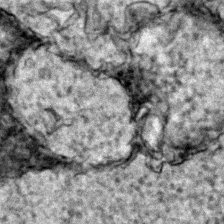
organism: Zebrafish